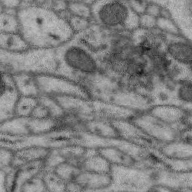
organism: Zebra finch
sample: Brain